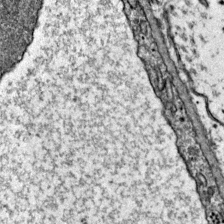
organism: Mouse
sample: Primary visual cortex